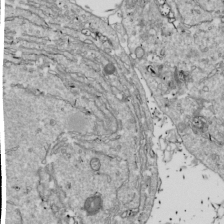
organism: Drosophila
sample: Cell division; meiosis; drosophila spermatocytes